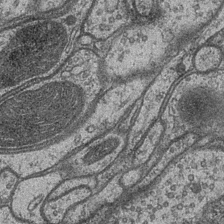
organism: Drosophila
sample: Optic medulla